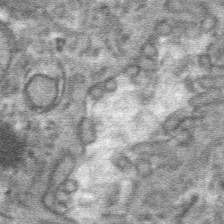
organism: Mouse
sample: Mouse hepatocytes